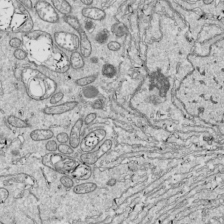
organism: Drosophila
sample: Cell division; meiosis; drosophila spermatocytes